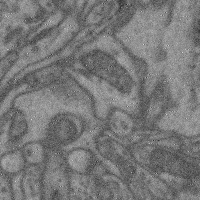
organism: Mouse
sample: Cerebral cortex